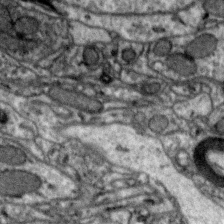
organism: Zebra finch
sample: Brain